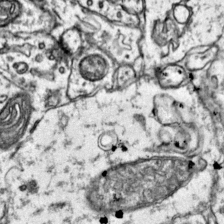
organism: Mouse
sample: Primary visual cortex